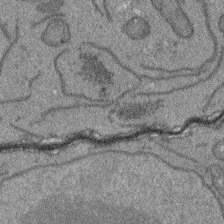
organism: Arabidopsis thaliana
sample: Root tip